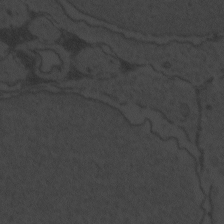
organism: Zebrafish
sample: Macrophage infected with Toxoplasma gondii